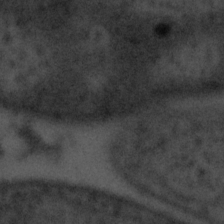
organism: Tuwongella immobilis